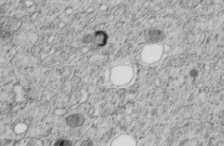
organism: C. elegans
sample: C. elegans embryo early stage